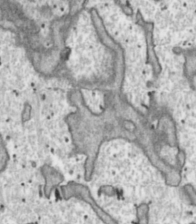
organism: Toxoplasma gondii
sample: Parasites in a vacuole inside a host cell